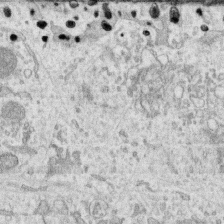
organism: Human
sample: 1205lu cells